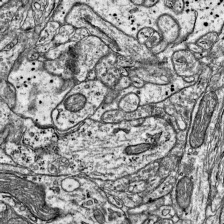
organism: Mouse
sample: Visual Cortex